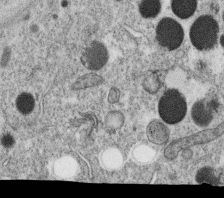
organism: C. elegans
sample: C. elegans oocyte; sperm cells